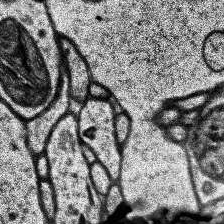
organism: Human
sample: Temporal Lobe